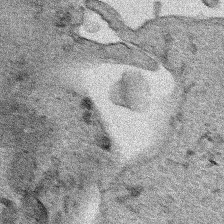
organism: Human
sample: Mitochondria in HCT116 cells